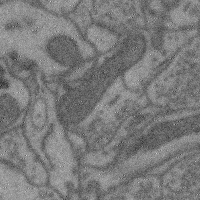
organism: Mouse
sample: Cerebral cortex